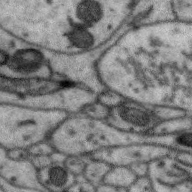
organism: Zebra finch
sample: Brain